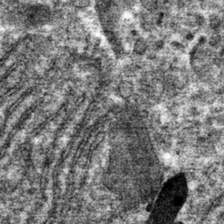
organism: Mouse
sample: Mouse hepatocytes